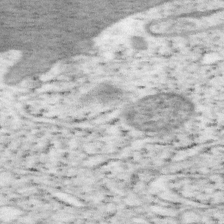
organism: Mouse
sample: OT-I killer T cells with ID8 ovarian cancer cells